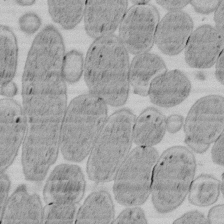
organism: E. coli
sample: Bacterial nucleoid